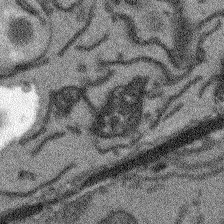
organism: Arabidopsis thaliana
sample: Root tip